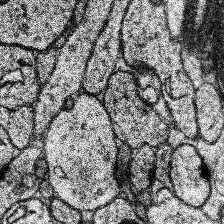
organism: Human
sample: Temporal Lobe